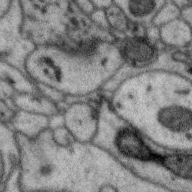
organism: Zebra finch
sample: Brain